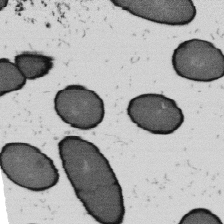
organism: B. subtilis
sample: Bacterial spore